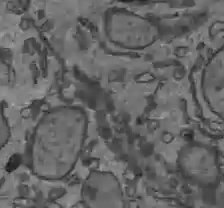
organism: C57BL Mouse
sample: Liver